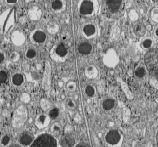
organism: C57BL Mouse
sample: Pancreatic islet